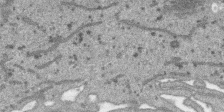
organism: Human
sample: Lung epithelial cells infected with SARS-CoV-2